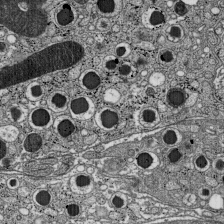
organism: C57BL Mouse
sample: Pancreatic islet